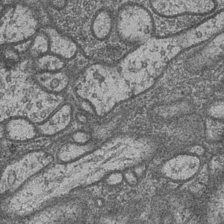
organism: Drosophila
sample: Optic medulla